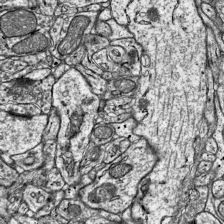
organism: Mouse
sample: Visual Cortex